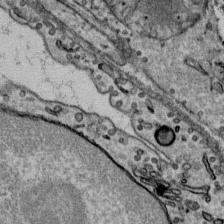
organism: Mouse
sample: Mouse Salivary gland